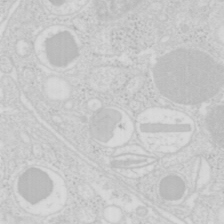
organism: Mouse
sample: Pancreas